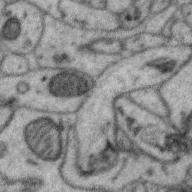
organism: Zebra finch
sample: Brain